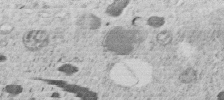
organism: C. elegans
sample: C. elegans embryo early stage